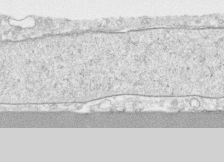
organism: Human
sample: CRL-1474